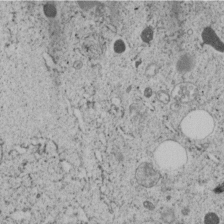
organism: C. elegans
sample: C. elegans embryo early stage